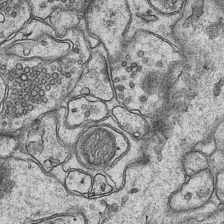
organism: Mouse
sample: CA1 Hippocampus